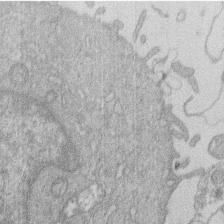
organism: Human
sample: Macrophage cells